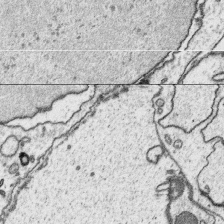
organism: Platynereis dumerilii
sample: Parapodia